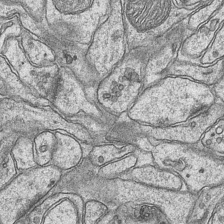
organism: Mouse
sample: CA1 Hippocampus